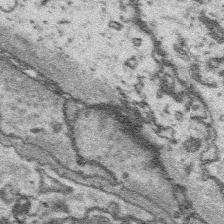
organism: Platynereis dumerilii